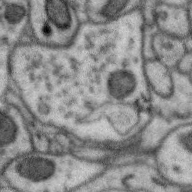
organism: Zebra finch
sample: Brain